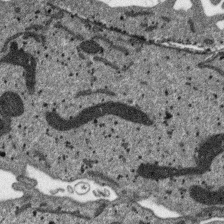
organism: Human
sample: Lung epithelial cells infected with SARS-CoV-2